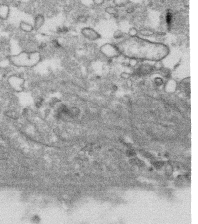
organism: Human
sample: CRL-1474